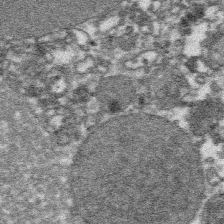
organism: Platynereis dumerilii